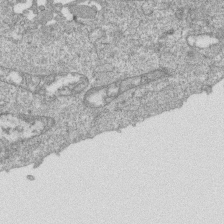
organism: Human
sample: HeLa cell HIV synapse